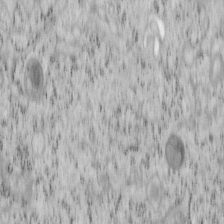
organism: Human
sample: HeLa cells